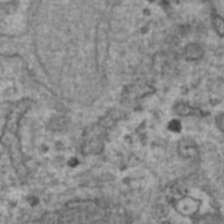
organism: Human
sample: Blood